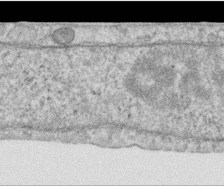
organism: Human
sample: Centriole in RPE cells